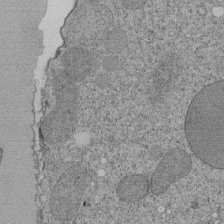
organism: Tetrahymena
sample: Cilia in tetrahymena